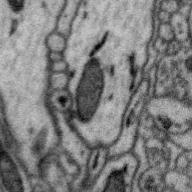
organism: Zebra finch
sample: Brain